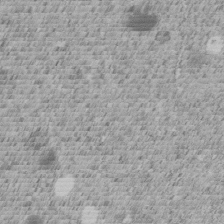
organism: C. elegans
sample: C. elegans embryo early stage